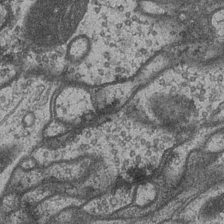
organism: Drosophila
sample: Optic medulla